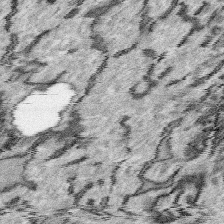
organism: Human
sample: HeLa cells